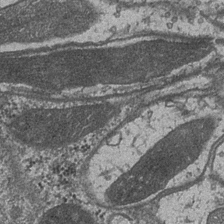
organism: Drosophila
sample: Optic medulla